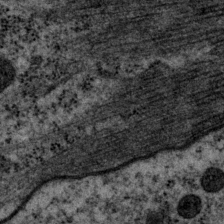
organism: P. pacificus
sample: Pharynx